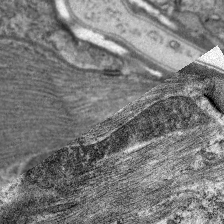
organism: C. elegans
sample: Pharynx